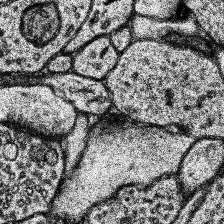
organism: Human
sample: Temporal Lobe